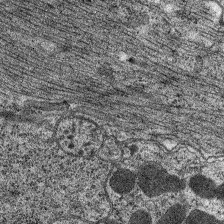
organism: C. elegans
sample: Pharynx